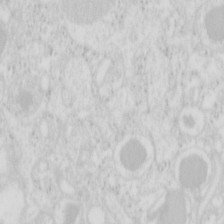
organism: Mouse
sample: Pancreas